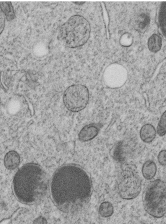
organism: C. elegans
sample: C. elegans embryo early stage